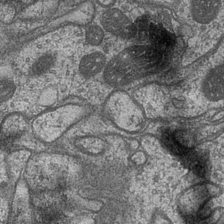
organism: Drosophila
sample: Optic medulla